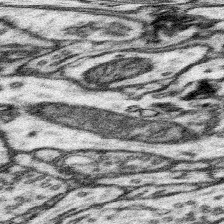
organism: Mouse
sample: Somatosensory cortex neuropil